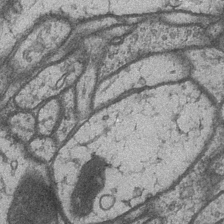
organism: Drosophila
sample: Optic medulla